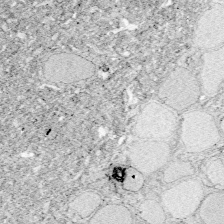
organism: Zebrafish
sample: Whole-Brain